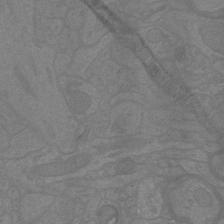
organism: Mouse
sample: Cortical neurons